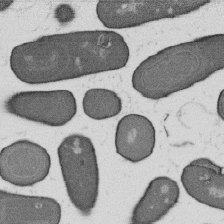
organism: B. subtilis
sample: Bacterial spore